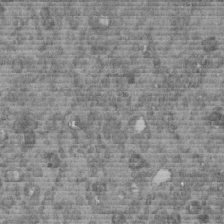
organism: C. elegans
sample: C. elegans embryo early stage